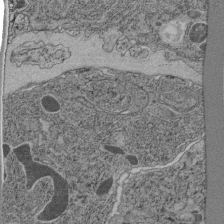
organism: C. elegans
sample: C. elegans pharynx